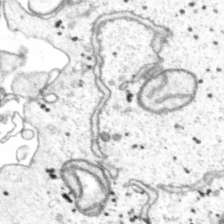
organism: Human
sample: HeLa cells